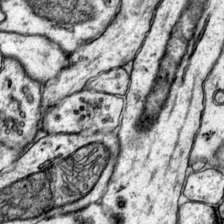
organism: Mouse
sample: Primary visual cortex